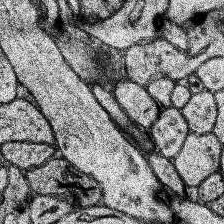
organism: Human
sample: Temporal Lobe